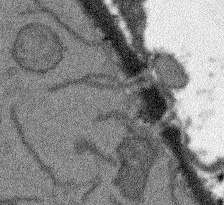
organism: Arabidopsis thaliana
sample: Root tip